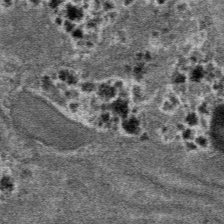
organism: Mouse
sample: Mouse hepatocytes